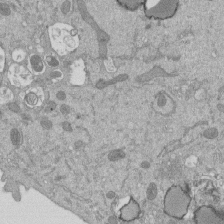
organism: Mouse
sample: ED-1 cell nuclei; centrioles